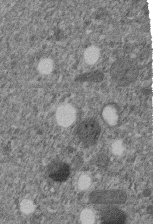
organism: C. elegans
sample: C. elegans embryo early stage